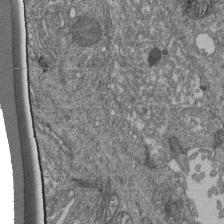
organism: Human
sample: Retinal organoid Rod and Cone cells